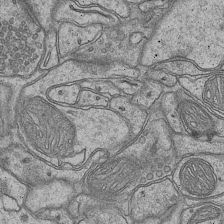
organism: Mouse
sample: CA1 Hippocampus